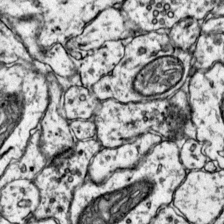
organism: Mouse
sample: Primary visual cortex